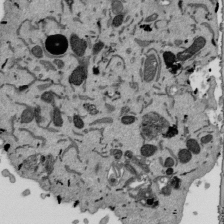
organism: Mouse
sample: ED-1 cell nuclei; centrioles